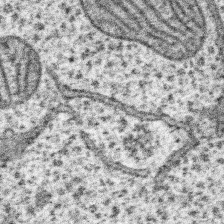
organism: Human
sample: HeLa cells